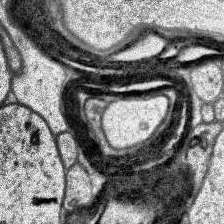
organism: Human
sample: Temporal Lobe